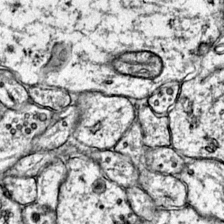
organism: Mouse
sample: Primary visual cortex